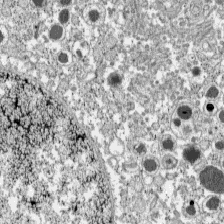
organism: C57BL Mouse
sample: Pancreatic islet